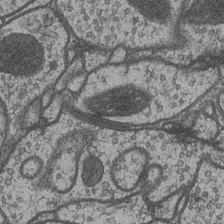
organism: Drosophila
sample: Optic medulla